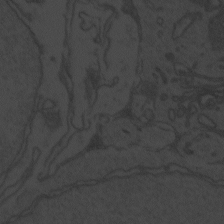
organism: Zebrafish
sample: Macrophage infected with Toxoplasma gondii